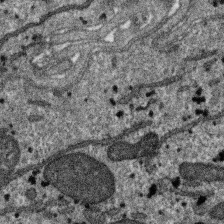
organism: Human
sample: Lung epithelial cells infected with SARS-CoV-2